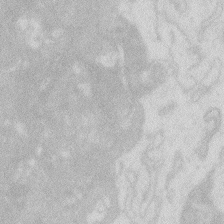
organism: Zebrafish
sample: Macrophage